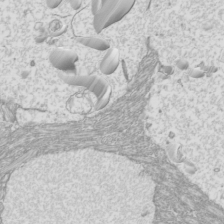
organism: Mouse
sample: Cilia; mouse epididymis